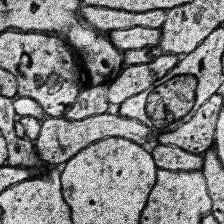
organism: Human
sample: Temporal Lobe